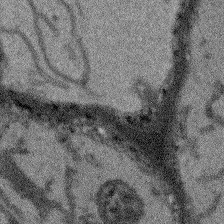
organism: Arabidopsis thaliana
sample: Root tip